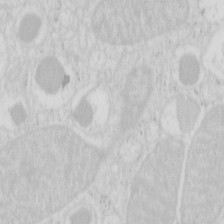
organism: Mouse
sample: Pancreas